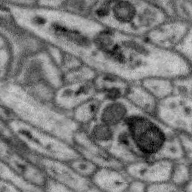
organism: Zebra finch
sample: Brain